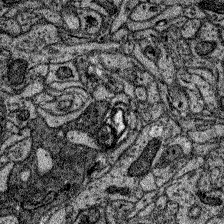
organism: Zebrafish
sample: Larval olfactory bulb